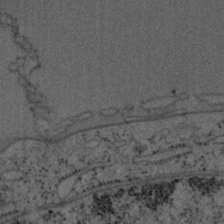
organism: Human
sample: HeLa cells